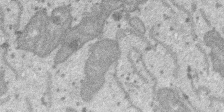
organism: Human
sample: Lung epithelial cells infected with SARS-CoV-2